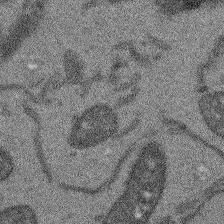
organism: Arabidopsis thaliana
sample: Root tip